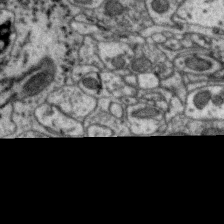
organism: Zebra finch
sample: Brain